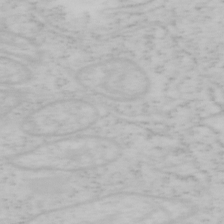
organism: Mouse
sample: OT-I killer T cells with ID8 ovarian cancer cells